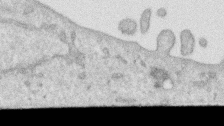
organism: Human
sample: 1205lu cells